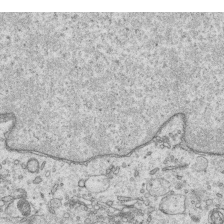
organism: Human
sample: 1205lu cells